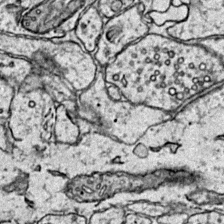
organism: Mouse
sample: Primary visual cortex